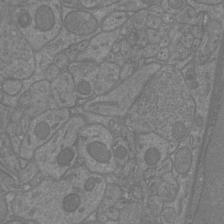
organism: Mouse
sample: Cortical neurons